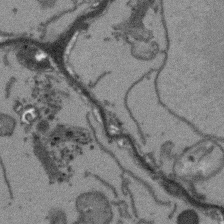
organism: Arabidopsis thaliana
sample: Root tip